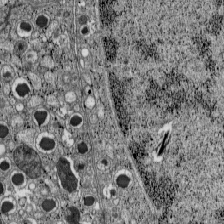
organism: C57BL Mouse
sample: Pancreatic islet